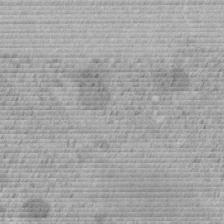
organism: C. elegans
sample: C. elegans embryo early stage